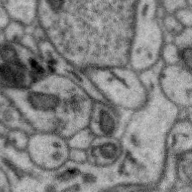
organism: Zebra finch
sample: Brain